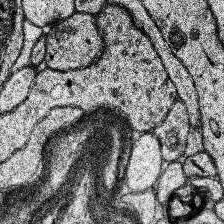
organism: Human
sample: Temporal Lobe